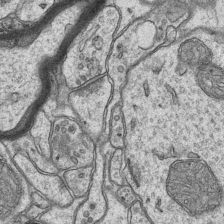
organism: Mouse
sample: CA1 Hippocampus